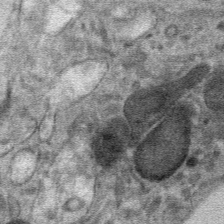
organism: Mouse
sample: Mouse hepatocytes